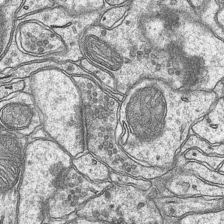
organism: Mouse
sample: CA1 Hippocampus